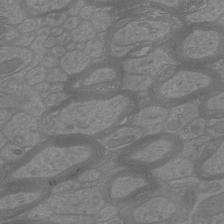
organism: Mouse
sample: Cortical neurons